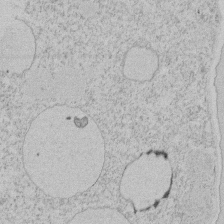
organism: Tetrahymena